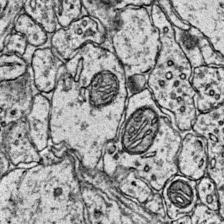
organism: Mouse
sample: Primary visual cortex